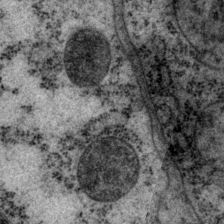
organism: P. pacificus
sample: Pharynx